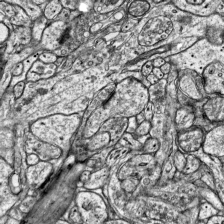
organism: Mouse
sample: Visual Cortex